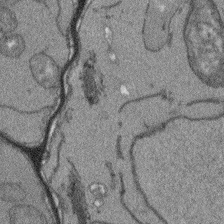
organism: Arabidopsis thaliana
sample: Root tip